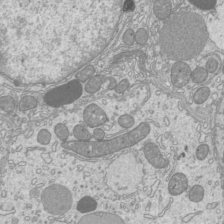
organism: Mouse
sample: Cilia; mouse epididymis